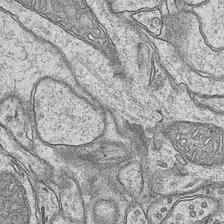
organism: Mouse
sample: CA1 Hippocampus